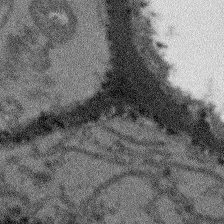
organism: Arabidopsis thaliana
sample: Root tip